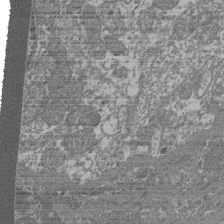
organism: Mouse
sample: Glomerulus